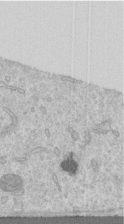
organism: Human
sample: Centriole in RPE cells